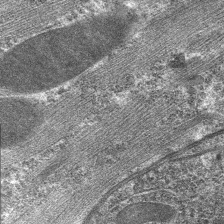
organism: C. elegans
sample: Pharynx